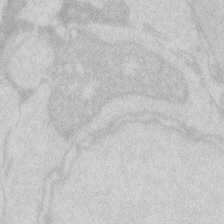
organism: Zebrafish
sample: Macrophage